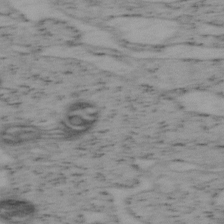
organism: Mouse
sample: OT-I killer T cells with ID8 ovarian cancer cells